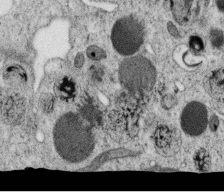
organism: C. elegans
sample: C. elegans oocyte; sperm cells